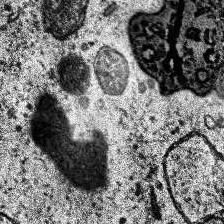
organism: Human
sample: Temporal Lobe